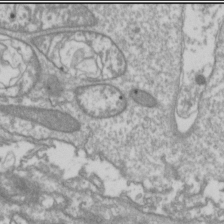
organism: Drosophila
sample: Cell division; meiosis; drosophila spermatocytes